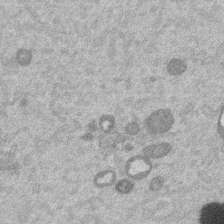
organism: Mouse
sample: Dividing mouse embryo 1 cell stage